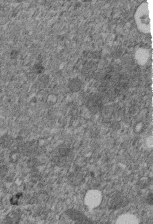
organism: C. elegans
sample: C. elegans embryo early stage